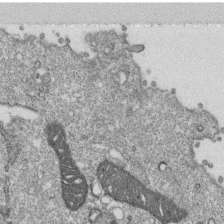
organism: African green monkey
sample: Vero E6 cells infected with SARS-CoV-2